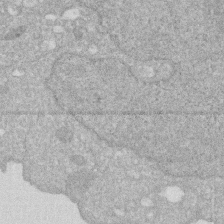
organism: Human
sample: HIV infected U937 cells